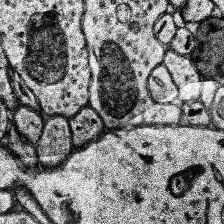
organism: Human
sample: Temporal Lobe